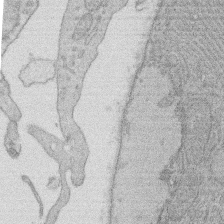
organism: Rat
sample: Salivary granule